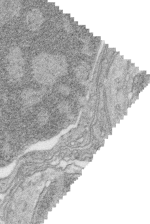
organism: Zebrafish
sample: synaptic ribbons in rod cells and cone cells